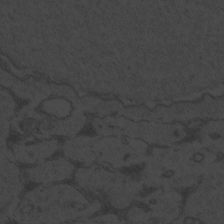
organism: Zebrafish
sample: Macrophage infected with Toxoplasma gondii